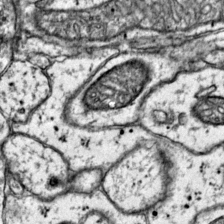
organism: Mouse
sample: Primary visual cortex